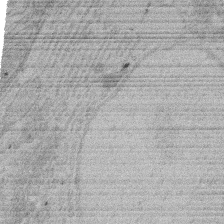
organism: Rat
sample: Salivary granule